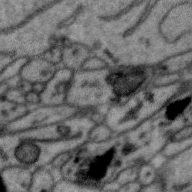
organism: Zebra finch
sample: Brain